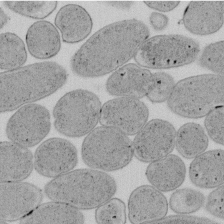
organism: E. coli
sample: Bacterial nucleoid